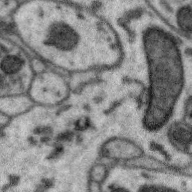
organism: Zebra finch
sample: Brain